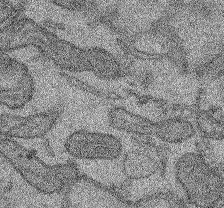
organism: Human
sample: HeLa cells